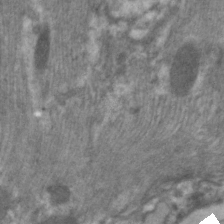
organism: C. elegans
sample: Pharynx